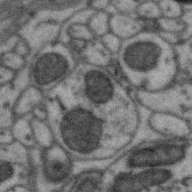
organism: Zebra finch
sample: Brain